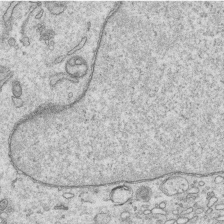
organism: Human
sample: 1205lu cells